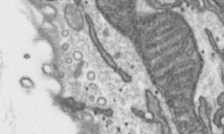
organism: Toxoplasma gondii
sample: Parasites in a vacuole inside a host cell